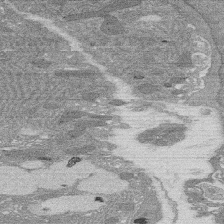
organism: Rat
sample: Salivary granule